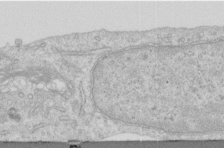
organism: Human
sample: Centriole in RPE cells